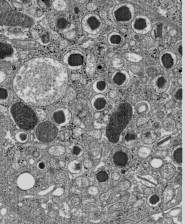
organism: C57BL Mouse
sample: Pancreatic islet